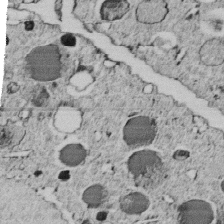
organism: C. elegans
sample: C. elegans embryo early stage